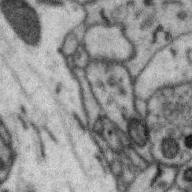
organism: Zebra finch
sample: Brain